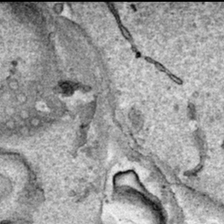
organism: Human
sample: Mitochondria in HCT116 cells